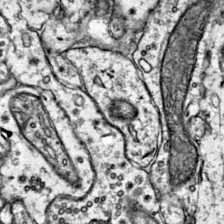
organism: Mouse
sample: Primary visual cortex